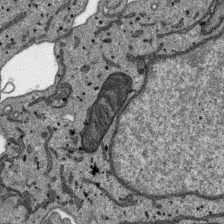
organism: Human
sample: Lung epithelial cells, uninfected (mock) control